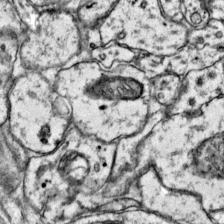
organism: Mouse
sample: Primary visual cortex